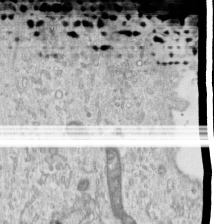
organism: Human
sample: Centriole in RPE cells